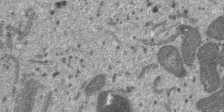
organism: Human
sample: Lung epithelial cells infected with SARS-CoV-2